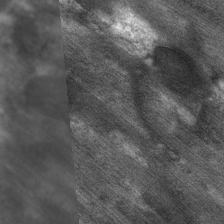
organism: C. elegans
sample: Pharynx